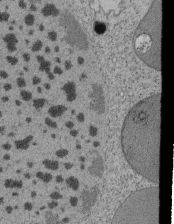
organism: Tetrahymena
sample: Cilia in tetrahymena